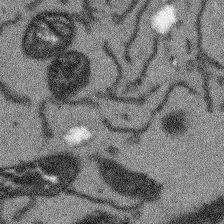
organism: Arabidopsis thaliana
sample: Root tip